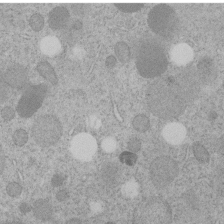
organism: C. elegans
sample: C. elegans embryo early stage